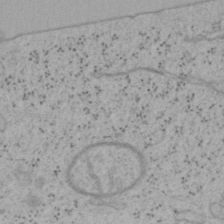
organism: Human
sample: HeLa cells